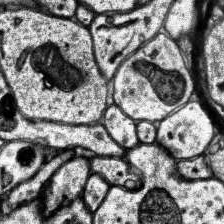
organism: Human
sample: Temporal Lobe